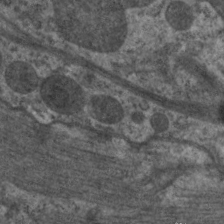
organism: C. elegans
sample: Pharynx